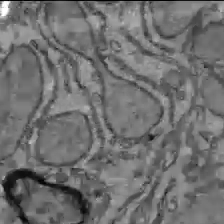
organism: C57BL Mouse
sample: Liver